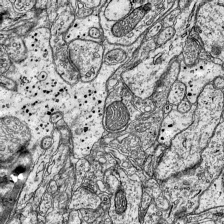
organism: Mouse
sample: Visual Cortex